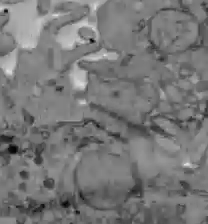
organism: C57BL Mouse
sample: Liver